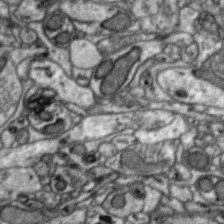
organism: Zebra finch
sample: Brain